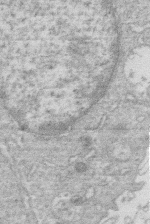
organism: Human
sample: Macrophage cells